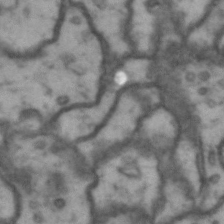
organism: Drosophila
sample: Brain